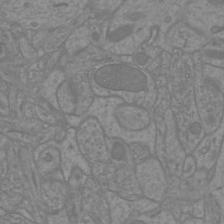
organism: Mouse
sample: Cortical neurons